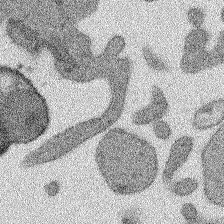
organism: Human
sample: HeLa cells